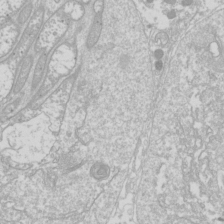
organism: Drosophila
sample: Cell division; meiosis; drosophila spermatocytes